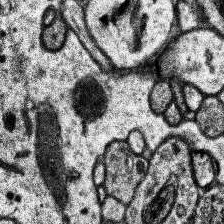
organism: Human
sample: Temporal Lobe